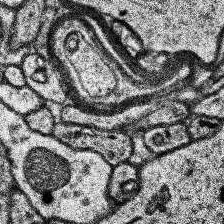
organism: Human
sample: Temporal Lobe